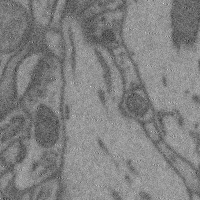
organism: Mouse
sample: Cerebral cortex